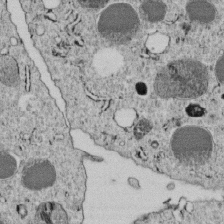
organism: C. elegans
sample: C. elegans embryo early stage